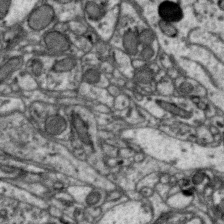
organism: Zebra finch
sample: Brain